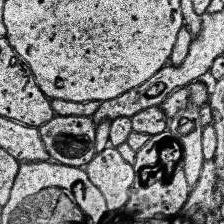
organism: Human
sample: Temporal Lobe